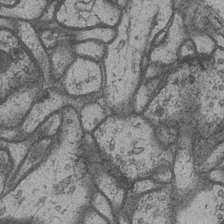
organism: Drosophila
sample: Optic medulla